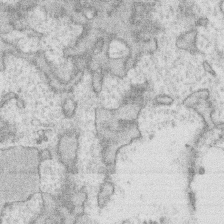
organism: Human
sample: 1205lu cells